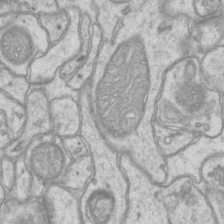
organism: Mouse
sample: CA1 Hippocampus